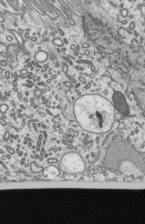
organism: Mouse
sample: Mouse epididymis efferent ductule cilia